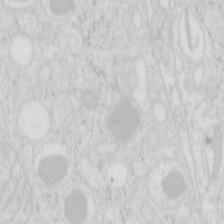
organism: Mouse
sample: Pancreas